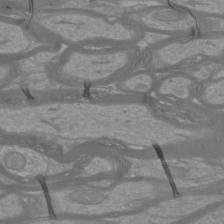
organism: Mouse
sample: Cortical neurons